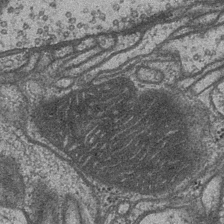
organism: Drosophila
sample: Optic medulla